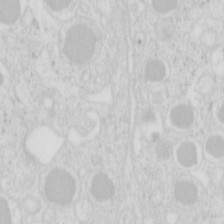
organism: Mouse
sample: Pancreas